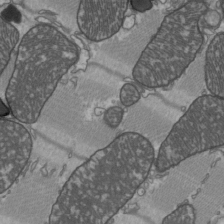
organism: C57BL Mouse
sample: Heart